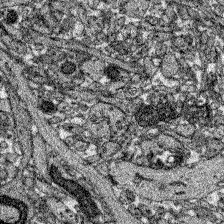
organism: Zebrafish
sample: Larval olfactory bulb